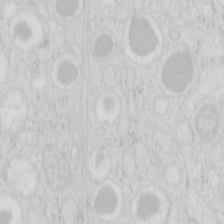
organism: Mouse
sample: Pancreas